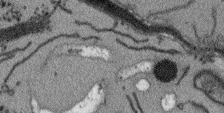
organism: Arabidopsis thaliana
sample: Root tip